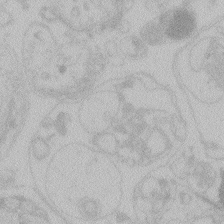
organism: Zebrafish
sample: Macrophage infected with Toxoplasma gondii